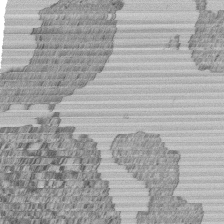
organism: Human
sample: MDA-MB-231 cells